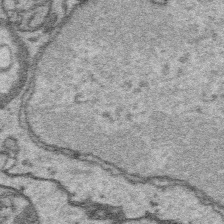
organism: Platynereis dumerilii